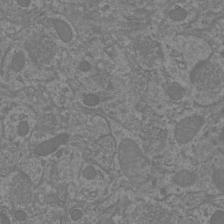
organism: Mouse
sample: Cortical neurons